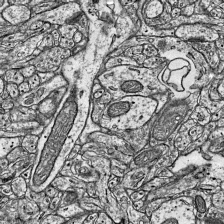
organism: Mouse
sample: Visual Cortex